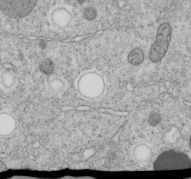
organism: C. elegans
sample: C. elegans embryo early stage